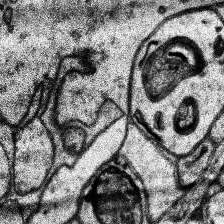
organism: Human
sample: Temporal Lobe